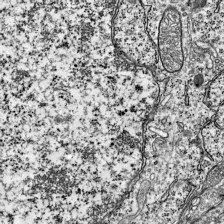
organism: Mouse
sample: Visual Cortex